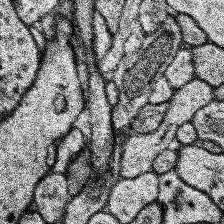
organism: Human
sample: Temporal Lobe